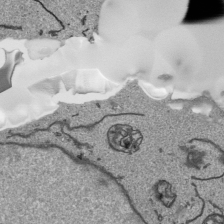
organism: Human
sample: Mitochondria in HCT116 cells